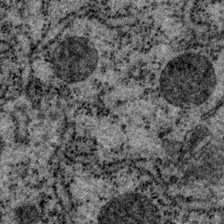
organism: P. pacificus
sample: Pharynx